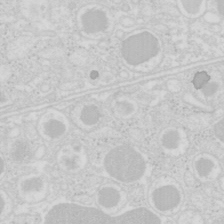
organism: Mouse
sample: Pancreas